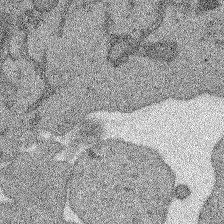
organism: Human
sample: HeLa cells